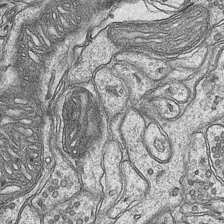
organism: Mouse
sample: CA1 Hippocampus